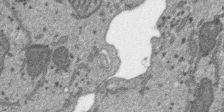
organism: Human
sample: Lung epithelial cells infected with SARS-CoV-2